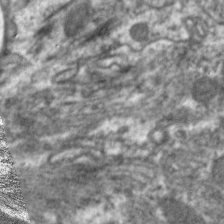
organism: C. elegans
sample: Pharynx